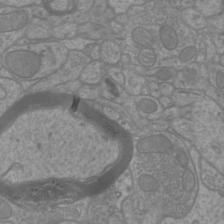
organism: Mouse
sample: Cortical neurons